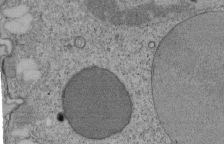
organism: Tetrahymena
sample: Cilia in tetrahymena